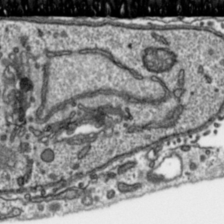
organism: Toxoplasma gondii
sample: Parasites in a vacuole inside a host cell